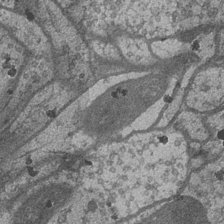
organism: Drosophila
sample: Optic medulla